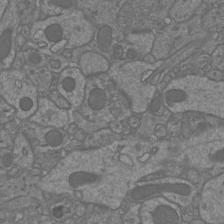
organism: Mouse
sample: Cortical neurons